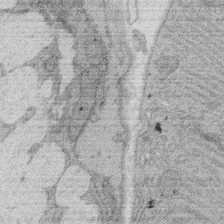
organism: Rat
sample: Salivary granule